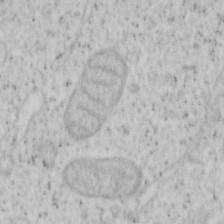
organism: Human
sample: HeLa cells